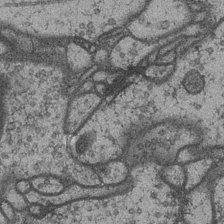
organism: Drosophila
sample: Optic medulla